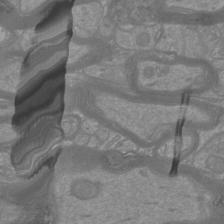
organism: Mouse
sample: Cortical neurons